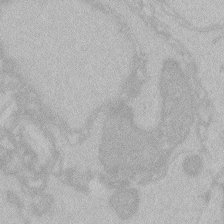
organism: Zebrafish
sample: Macrophage infected with Toxoplasma gondii